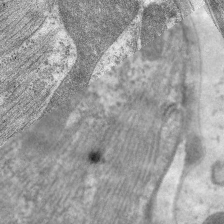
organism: C. elegans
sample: Pharynx